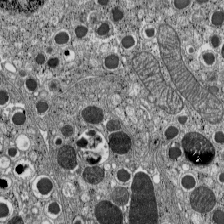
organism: C57BL Mouse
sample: Pancreatic islet